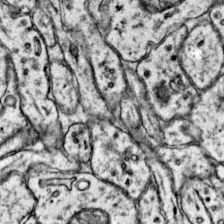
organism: Mouse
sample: Primary visual cortex